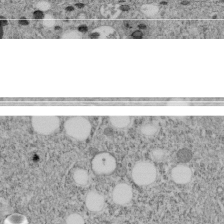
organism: C. elegans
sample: C. elegans embryo early stage